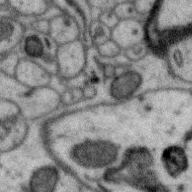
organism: Zebra finch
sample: Brain